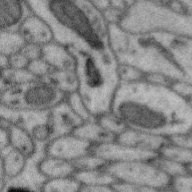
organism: Zebra finch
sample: Brain